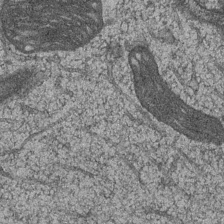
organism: Drosophila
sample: Optic medulla